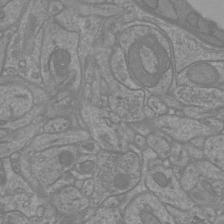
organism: Mouse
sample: Cortical neurons